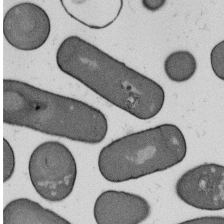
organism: B. subtilis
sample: Bacterial spore